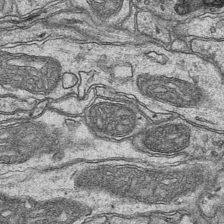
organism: Mouse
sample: CA1 Hippocampus